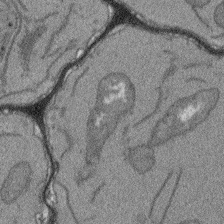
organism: Arabidopsis thaliana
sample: Root tip